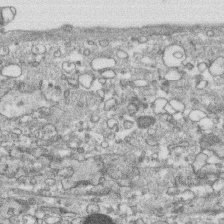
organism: Human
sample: CRL-1474